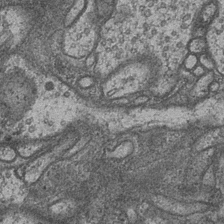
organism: Drosophila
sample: Optic medulla